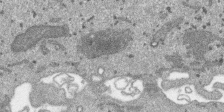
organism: Human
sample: Lung epithelial cells infected with SARS-CoV-2